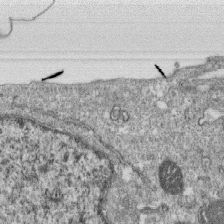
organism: African green monkey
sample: Vero E6 cells infected with SARS-CoV-2